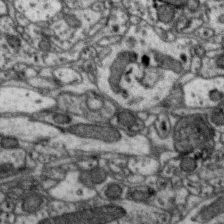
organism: Zebra finch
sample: Brain